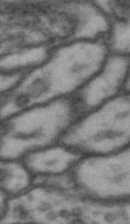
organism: Drosophila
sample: Brain